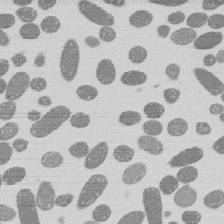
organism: E. coli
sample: Bacterial nucleoid